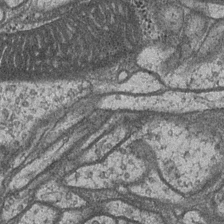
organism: Drosophila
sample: Optic medulla